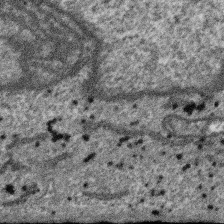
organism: Human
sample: Lung epithelial cells infected with SARS-CoV-2